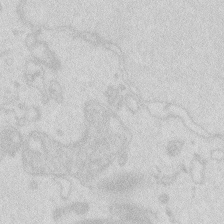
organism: Zebrafish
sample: Macrophage